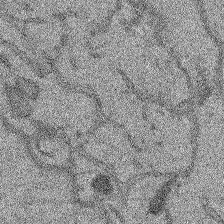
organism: Human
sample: HeLa cells